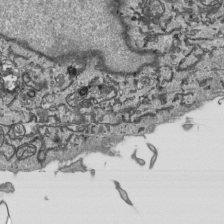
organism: Human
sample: Mitochondria in HCT116 cells